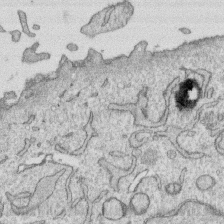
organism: Human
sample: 1205lu cells